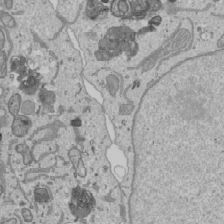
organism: Human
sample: Mitochondria in U2OS cells